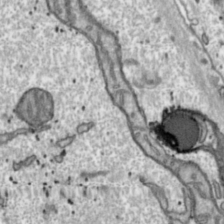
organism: Toxoplasma gondii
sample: Parasites in a vacuole inside a host cell